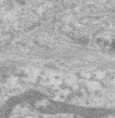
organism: Human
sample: Centriole in RPE cells